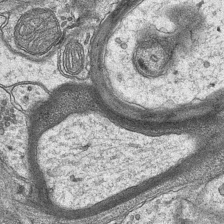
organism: Mouse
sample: CA1 Hippocampus